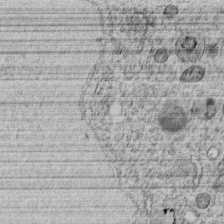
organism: C. elegans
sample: C. elegans embryo early stage